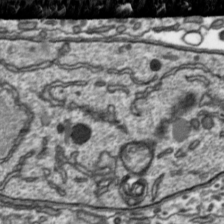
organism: Toxoplasma gondii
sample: Parasites in a vacuole inside a host cell